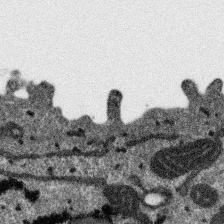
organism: Human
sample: Lung epithelial cells infected with SARS-CoV-2